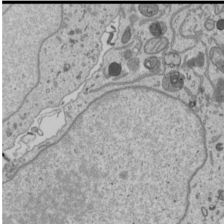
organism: Human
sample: Mitochondria in U2OS cells